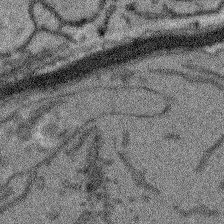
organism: Arabidopsis thaliana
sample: Root tip